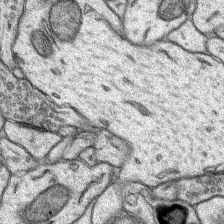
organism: Rat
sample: Hippocampus